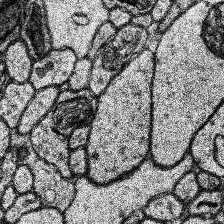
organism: Human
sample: Temporal Lobe